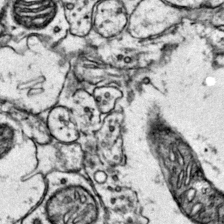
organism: Mouse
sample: Primary visual cortex